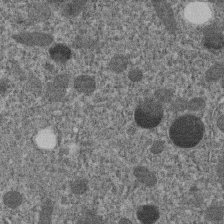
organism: C. elegans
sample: C. elegans embryo early stage